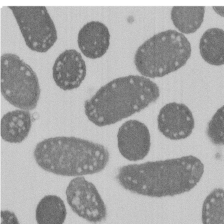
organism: E. coli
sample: Bacterial nucleoid